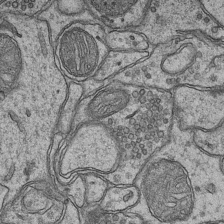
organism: Mouse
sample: CA1 Hippocampus